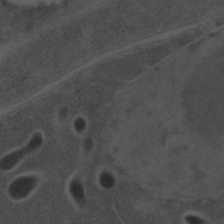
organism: C. elegans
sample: C. elegans embryo